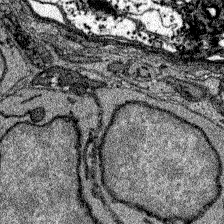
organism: Zebrafish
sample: Larval olfactory bulb